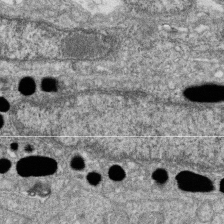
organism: Zebrafish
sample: Cilia; retinal pigment epithelium